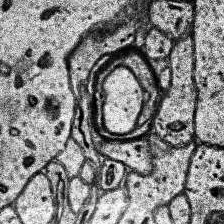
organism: Human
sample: Temporal Lobe